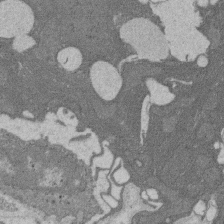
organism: Rat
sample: Salivary granule